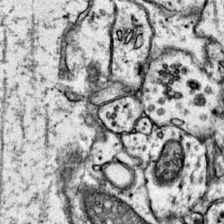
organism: Mouse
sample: Primary visual cortex